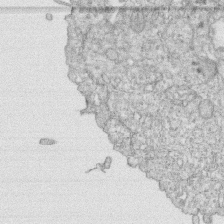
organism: Human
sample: HeLa cell HIV synapse